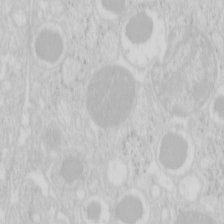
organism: Mouse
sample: Pancreas